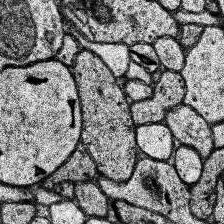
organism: Human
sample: Temporal Lobe